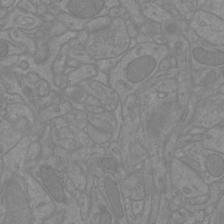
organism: Mouse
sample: Cortical neurons